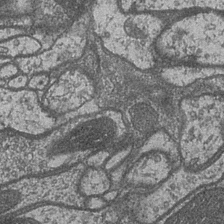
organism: Drosophila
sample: Optic medulla